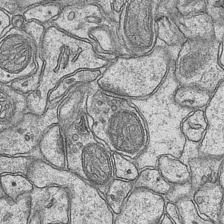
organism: Mouse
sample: CA1 Hippocampus